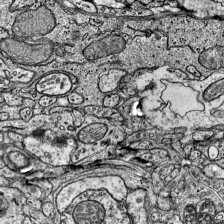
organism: Mouse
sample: Visual Cortex